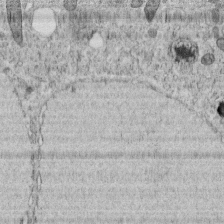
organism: C. elegans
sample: C. elegans embryo early stage